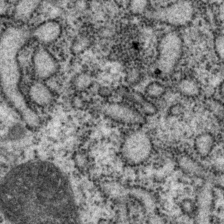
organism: P. pacificus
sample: Pharynx